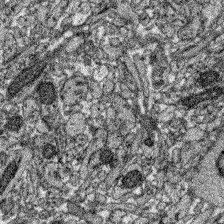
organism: Zebrafish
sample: Larval olfactory bulb